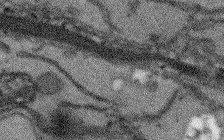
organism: Arabidopsis thaliana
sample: Root tip